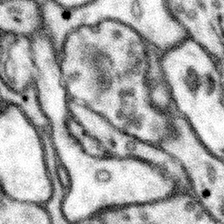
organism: Mouse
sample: Somatosensory cortex neuropil